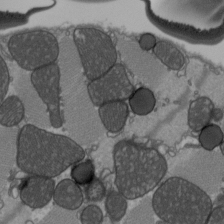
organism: C57BL Mouse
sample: Heart